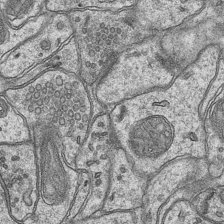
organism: Mouse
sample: CA1 Hippocampus